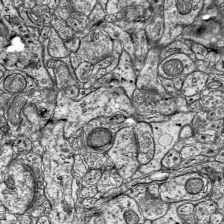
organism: Mouse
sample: Visual Cortex